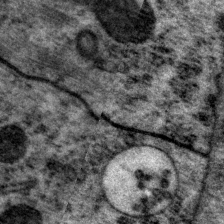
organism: P. pacificus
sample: Pharynx